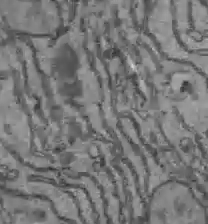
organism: C57BL Mouse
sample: Liver